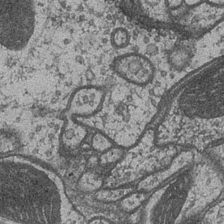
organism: Drosophila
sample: Optic medulla